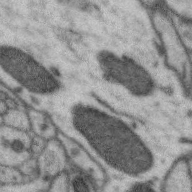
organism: Zebra finch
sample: Brain